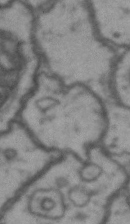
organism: Drosophila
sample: Brain